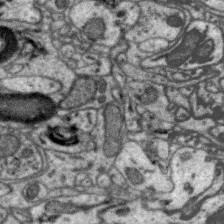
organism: Zebra finch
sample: Brain